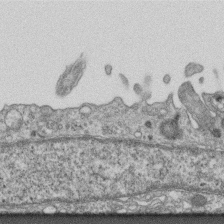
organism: Mouse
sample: Centriole in ependymal cells